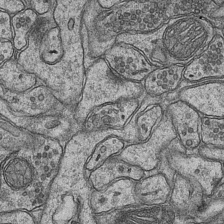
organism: Mouse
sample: CA1 Hippocampus